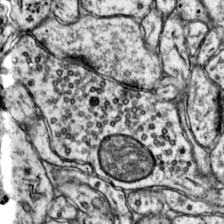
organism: Mouse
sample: Primary visual cortex